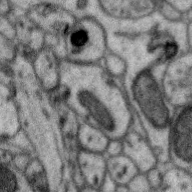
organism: Zebra finch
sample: Brain